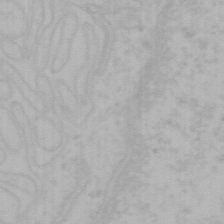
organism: Mouse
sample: Choroid plexus